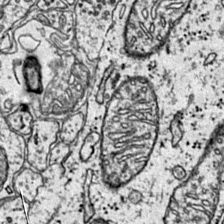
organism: Mouse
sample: Primary visual cortex